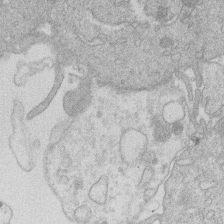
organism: Human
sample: Macrophage cells